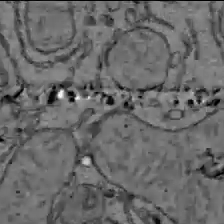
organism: C57BL Mouse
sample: Liver